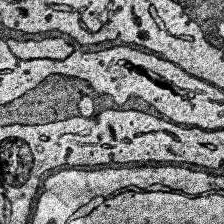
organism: Human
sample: Temporal Lobe